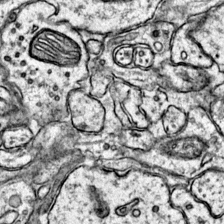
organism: Mouse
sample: Primary visual cortex